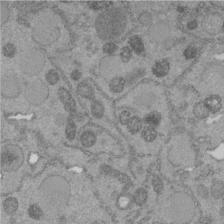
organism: C. elegans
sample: C. elegans embryo early stage